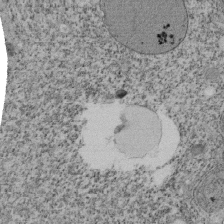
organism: Tetrahymena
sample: Cilia in tetrahymena